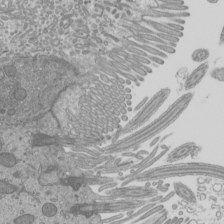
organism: Mouse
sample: Cilia; mouse epididymis